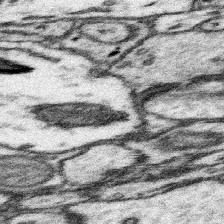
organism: Mouse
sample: Somatosensory cortex neuropil